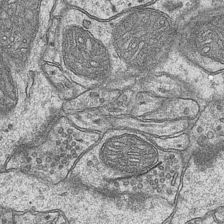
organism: Mouse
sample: CA1 Hippocampus